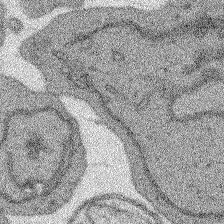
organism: Human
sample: HeLa cells